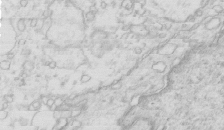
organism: Mouse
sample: Multiciliated cells